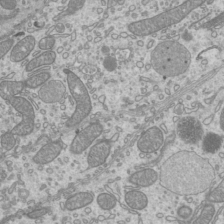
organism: Mouse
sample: Cilia; mouse epididymis